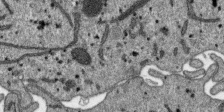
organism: Human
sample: Lung epithelial cells, uninfected (mock) control